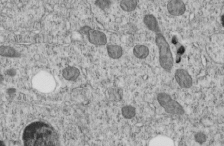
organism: C. elegans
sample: C. elegans embryo early stage